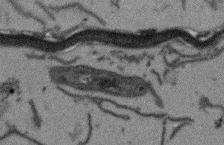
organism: Arabidopsis thaliana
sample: Root tip